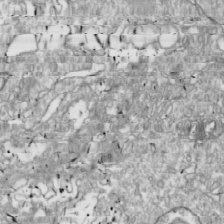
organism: Drosophila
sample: Cell division; meiosis; drosophila spermatocytes